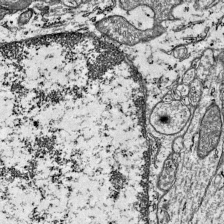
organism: Mouse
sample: Visual Cortex